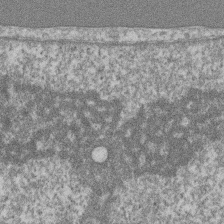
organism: Mouse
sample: T cell stromal cell synapse